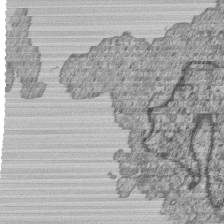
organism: Human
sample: MDA-MB-231 cells